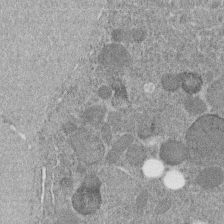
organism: C. elegans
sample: C. elegans embryo early stage